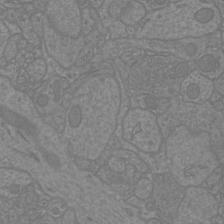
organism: Mouse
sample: Cortical neurons